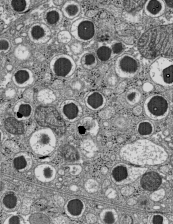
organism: C57BL Mouse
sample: Pancreatic islet